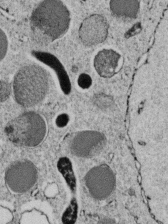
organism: C. elegans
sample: C. elegans embryo early stage